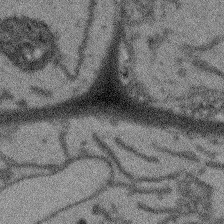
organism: Arabidopsis thaliana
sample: Root tip